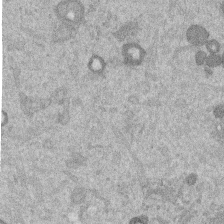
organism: Mouse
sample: Dividing mouse embryo 1 cell stage